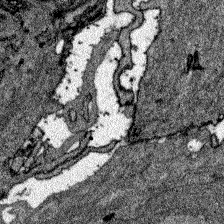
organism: Zebrafish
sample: Larval olfactory bulb